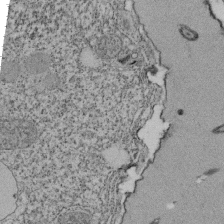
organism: Tetrahymena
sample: Cilia in tetrahymena